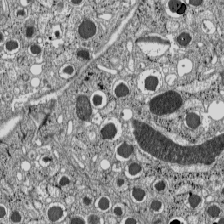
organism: C57BL Mouse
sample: Pancreatic islet